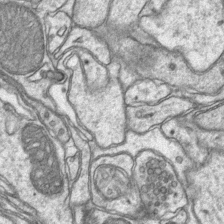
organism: Mouse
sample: CA1 Hippocampus